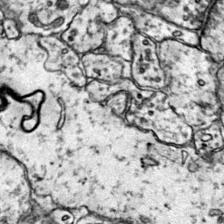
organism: Mouse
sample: Primary visual cortex